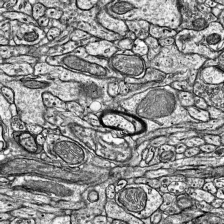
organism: Mouse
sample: Visual Cortex